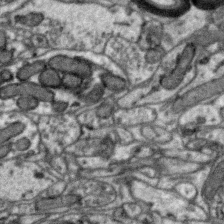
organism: Zebra finch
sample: Brain